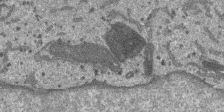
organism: Human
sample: Lung epithelial cells infected with SARS-CoV-2